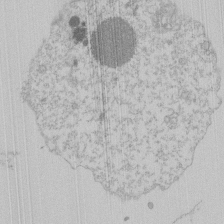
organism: Mouse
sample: Activated Pmel transgenic CD8+ T Cells